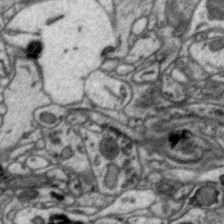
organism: Zebra finch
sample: Brain